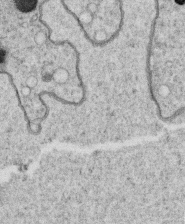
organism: C. elegans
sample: C. elegans oocyte; sperm cells